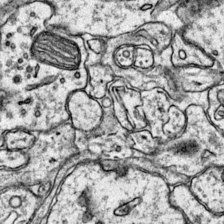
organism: Mouse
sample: Primary visual cortex